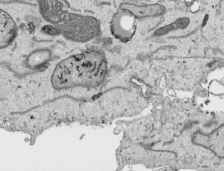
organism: Human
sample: Mitochondria in HCT116 cells